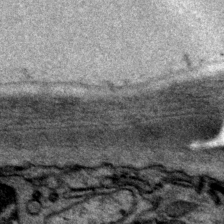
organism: P. pacificus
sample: Pharynx